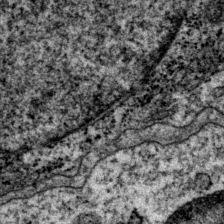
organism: P. pacificus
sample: Pharynx